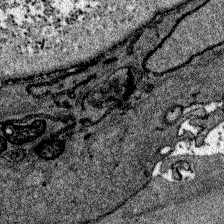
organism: Zebrafish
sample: Larval olfactory bulb